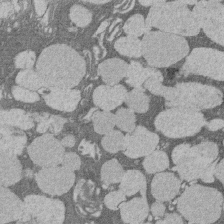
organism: Rat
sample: Salivary granule